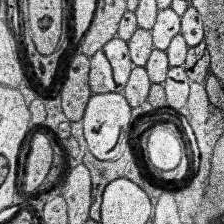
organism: Human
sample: Temporal Lobe